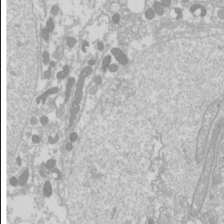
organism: Drosophila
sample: Cell division; meiosis; drosophila spermatocytes